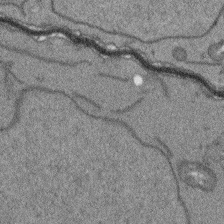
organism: Arabidopsis thaliana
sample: Root tip